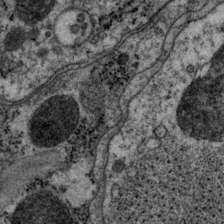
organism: P. pacificus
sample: Pharynx